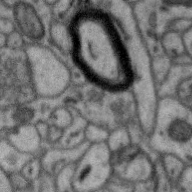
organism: Zebra finch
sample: Brain